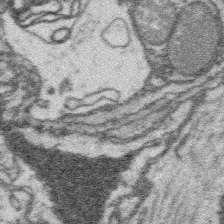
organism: Platynereis dumerilii